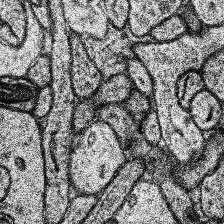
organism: Human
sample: Temporal Lobe